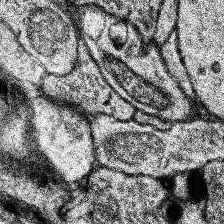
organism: Human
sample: Temporal Lobe